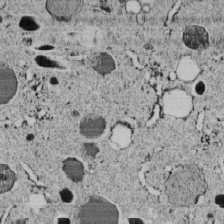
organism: C. elegans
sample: C. elegans embryo early stage